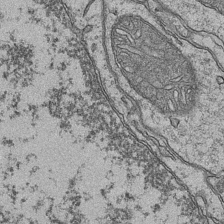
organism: Mouse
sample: CA1 Hippocampus